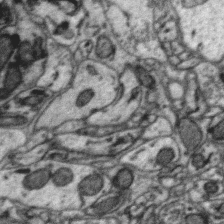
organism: Zebra finch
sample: Brain